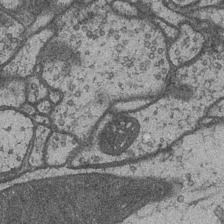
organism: Drosophila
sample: Optic medulla